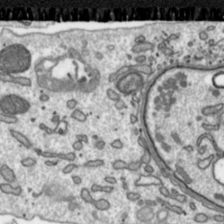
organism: Toxoplasma gondii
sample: Parasites in a vacuole inside a host cell